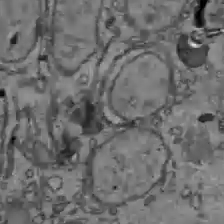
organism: C57BL Mouse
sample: Liver